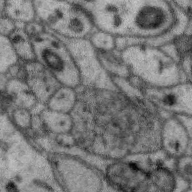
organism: Zebra finch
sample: Brain